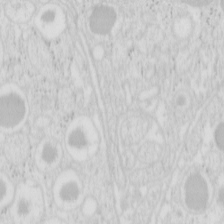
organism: Mouse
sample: Pancreas